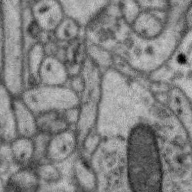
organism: Zebra finch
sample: Brain